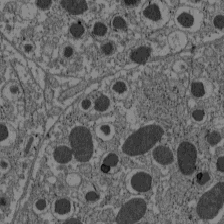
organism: C57BL Mouse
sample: Pancreatic islet